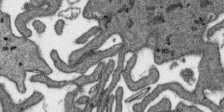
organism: Human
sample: Lung epithelial cells, uninfected (mock) control